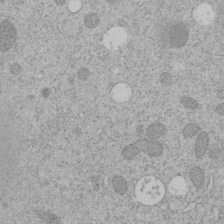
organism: C. elegans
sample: C. elegans embryo early stage